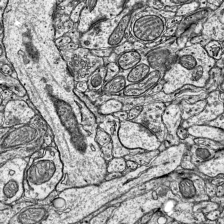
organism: Mouse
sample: Visual Cortex